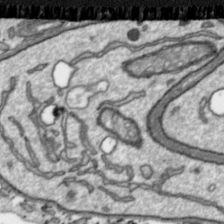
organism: Toxoplasma gondii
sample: Parasites in a vacuole inside a host cell